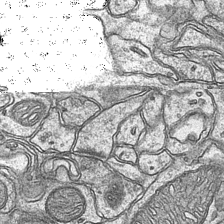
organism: Mouse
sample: CA1 Hippocampus